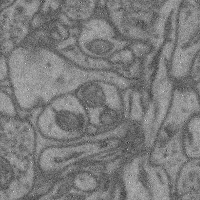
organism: Mouse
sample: Cerebral cortex